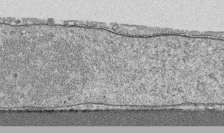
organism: Human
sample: CRL-1474